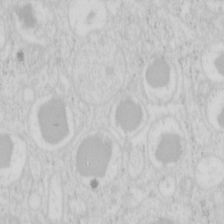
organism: Mouse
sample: Pancreas